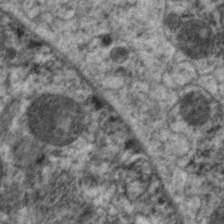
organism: C. elegans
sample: Pharynx